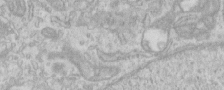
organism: Human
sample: Centriole in RPE cells